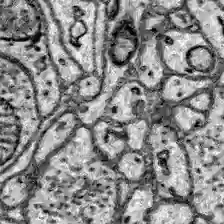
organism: Zebrafish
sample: Brain